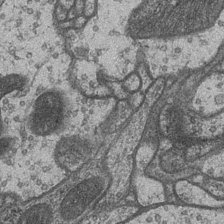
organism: Drosophila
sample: Optic medulla